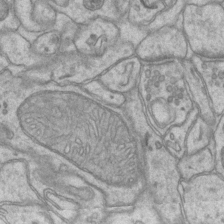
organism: Mouse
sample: CA1 Hippocampus